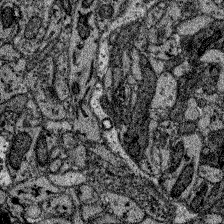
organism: Zebrafish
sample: Larval olfactory bulb